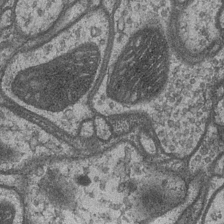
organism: Drosophila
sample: Optic medulla